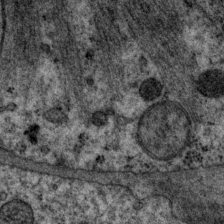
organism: P. pacificus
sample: Pharynx